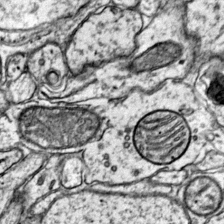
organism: Mouse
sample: Primary visual cortex